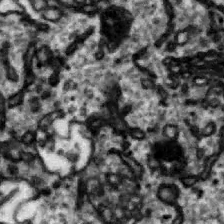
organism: Human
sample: HeLa cells